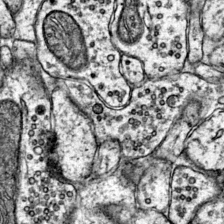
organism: Mouse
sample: Primary visual cortex